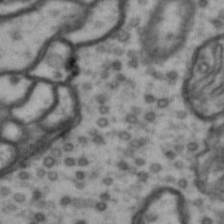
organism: Drosophila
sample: Brain